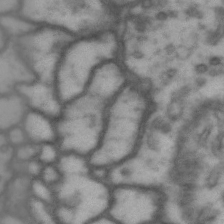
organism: Drosophila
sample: Brain